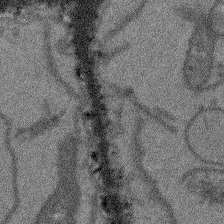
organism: Arabidopsis thaliana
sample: Root tip